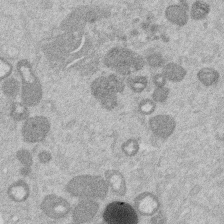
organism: Mouse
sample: Dividing mouse embryo 1 cell stage